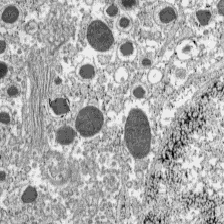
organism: C57BL Mouse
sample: Pancreatic islet